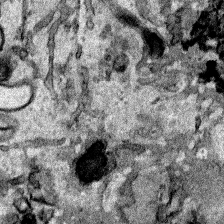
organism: Human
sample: Mitochondria in HCT116 cells